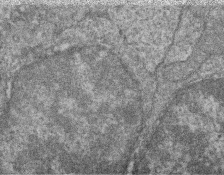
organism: Zebrafish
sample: Cilia; retinal pigment epithelium